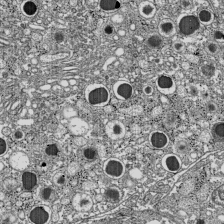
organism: C57BL Mouse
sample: Pancreatic islet